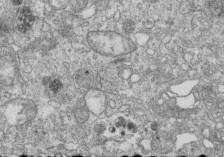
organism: Human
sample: HeLa cell HIV synapse